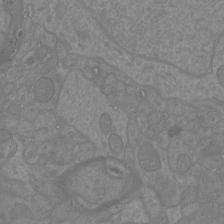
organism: Mouse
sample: Cortical neurons